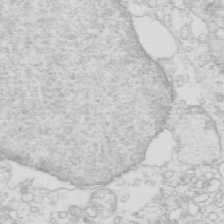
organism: Mouse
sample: Multiciliated cells